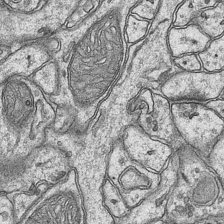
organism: Mouse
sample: CA1 Hippocampus